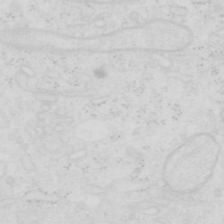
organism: Human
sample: SUM-159 cell